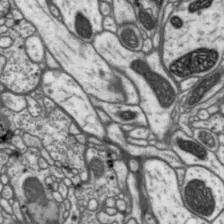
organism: Drosophila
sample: Protocerebral bridge